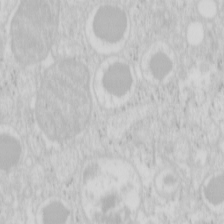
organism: Mouse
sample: Pancreas